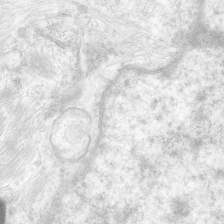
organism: Human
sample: Neocortex